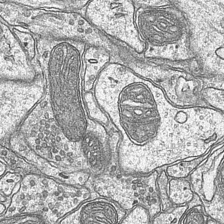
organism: Mouse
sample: CA1 Hippocampus